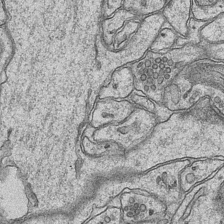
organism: Mouse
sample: CA1 Hippocampus